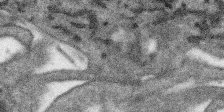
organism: Human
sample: Lung epithelial cells infected with SARS-CoV-2